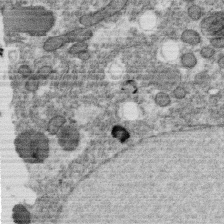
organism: C. elegans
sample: C. elegans oocyte; sperm cells